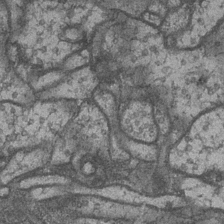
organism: Drosophila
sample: Optic medulla